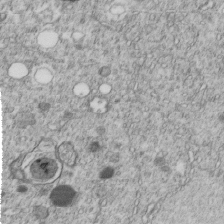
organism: C. elegans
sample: C. elegans embryo early stage